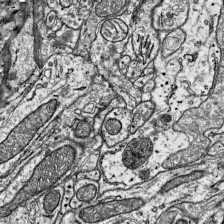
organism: Mouse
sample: Visual Cortex